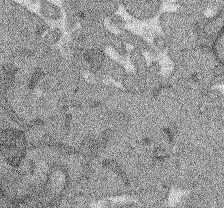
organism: Human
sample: HeLa cells